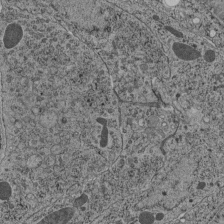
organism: C. elegans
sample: C. elegans pharynx